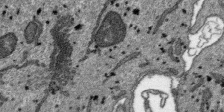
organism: Human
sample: Lung epithelial cells, uninfected (mock) control